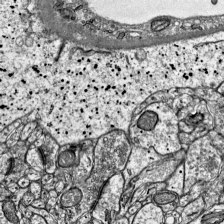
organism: Mouse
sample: Visual Cortex